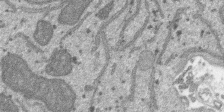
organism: Human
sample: Lung epithelial cells infected with SARS-CoV-2